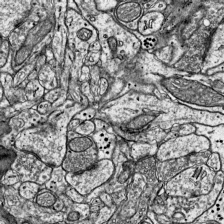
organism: Mouse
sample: Visual Cortex